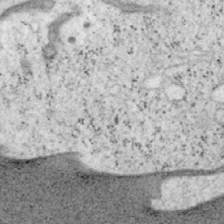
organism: Mouse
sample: OT-I killer T cells with ID8 ovarian cancer cells